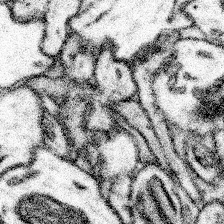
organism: Mouse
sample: Somatosensory cortex neuropil